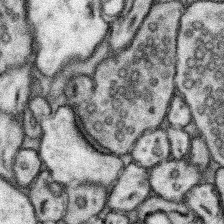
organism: Mouse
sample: Somatosensory cortex neuropil